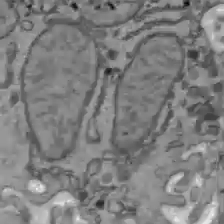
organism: C57BL Mouse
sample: Liver